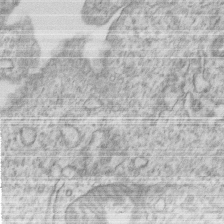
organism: Human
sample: MDA-MB-231 cells